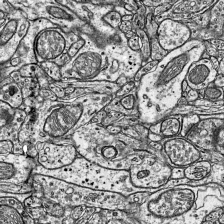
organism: Mouse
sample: Visual Cortex